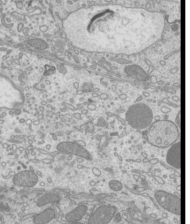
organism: Mouse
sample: Cilia; mouse epididymis